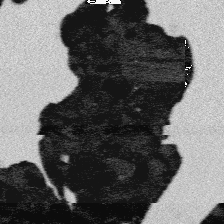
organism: Platynereis dumerilii